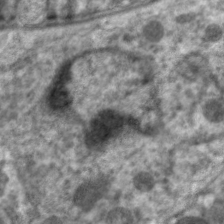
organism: C. elegans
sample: Pharynx